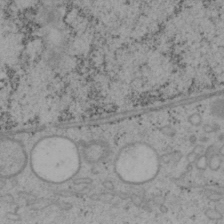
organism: Human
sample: HeLa cells